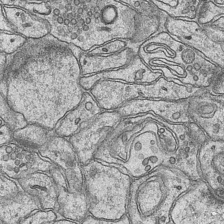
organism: Mouse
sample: CA1 Hippocampus